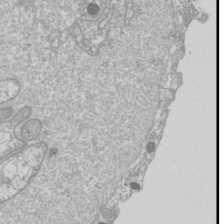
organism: Drosophila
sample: Cell division; meiosis; drosophila spermatocytes